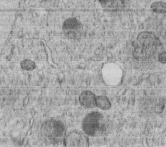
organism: C. elegans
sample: C. elegans embryo early stage